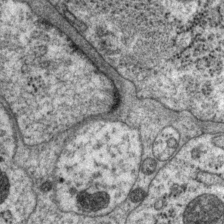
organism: P. pacificus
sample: Pharynx